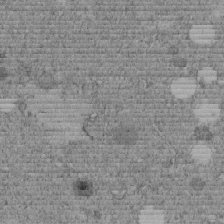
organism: C. elegans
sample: C. elegans embryo early stage